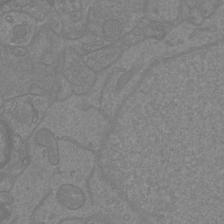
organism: Mouse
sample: Cortical neurons